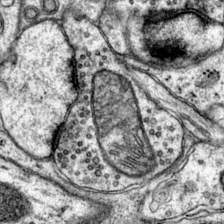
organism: Mouse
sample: Primary visual cortex